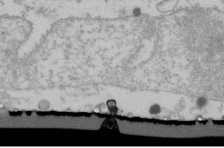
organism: Human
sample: U2-OS cells